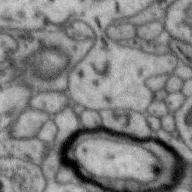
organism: Zebra finch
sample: Brain